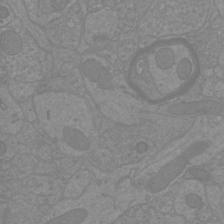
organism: Mouse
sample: Cortical neurons